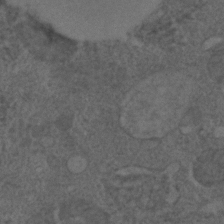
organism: C. elegans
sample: C. elegans embryo